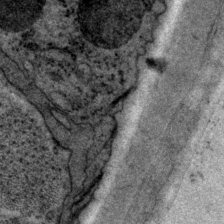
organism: P. pacificus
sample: Pharynx